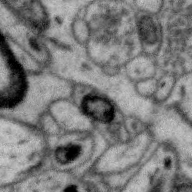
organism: Zebra finch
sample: Brain